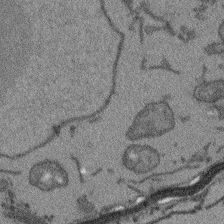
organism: Arabidopsis thaliana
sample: Root tip